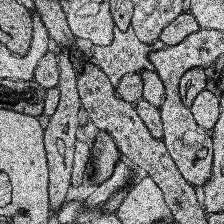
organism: Human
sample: Temporal Lobe